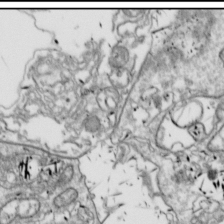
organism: Drosophila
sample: Cell division; meiosis; drosophila spermatocytes